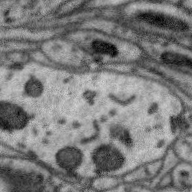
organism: Zebra finch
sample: Brain